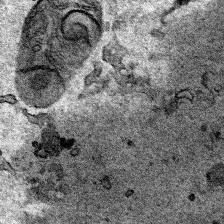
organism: Human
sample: Mitochondria in HCT116 cells